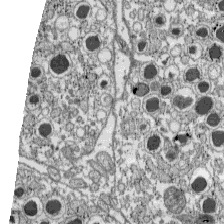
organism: C57BL Mouse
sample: Pancreatic islet